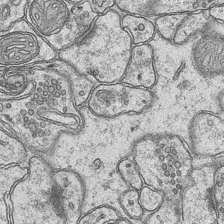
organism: Mouse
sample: CA1 Hippocampus